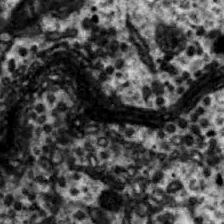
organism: Human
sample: HeLa cells